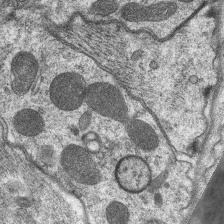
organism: C. elegans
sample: Pharynx